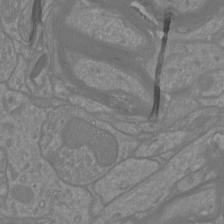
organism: Mouse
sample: Cortical neurons